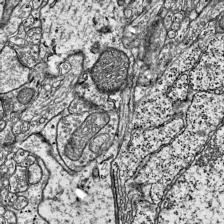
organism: Mouse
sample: Visual Cortex